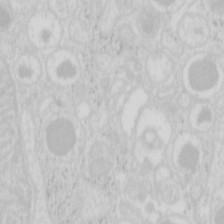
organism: Mouse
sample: Pancreas